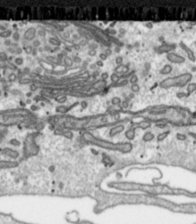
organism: Toxoplasma gondii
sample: Parasites in a vacuole inside a host cell